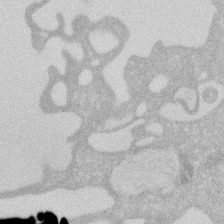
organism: Human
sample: HIV infected U937 cells